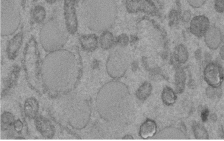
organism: C. elegans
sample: C. elegans embryo early stage